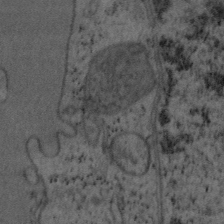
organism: Human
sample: HeLa cells